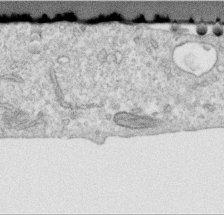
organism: Human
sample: Centriole in RPE cells